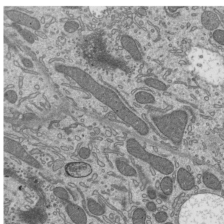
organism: Mouse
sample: Mouse epididymis efferent ductule cilia